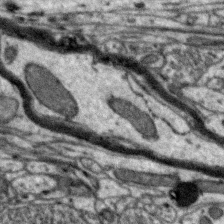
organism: Zebra finch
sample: Brain